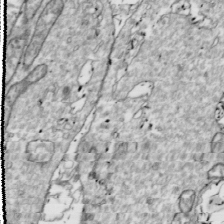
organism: Drosophila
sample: Cell division; meiosis; drosophila spermatocytes